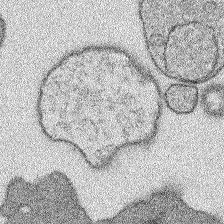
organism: Human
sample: HeLa cells